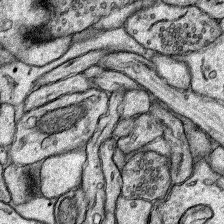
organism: Rat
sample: Hippocampus